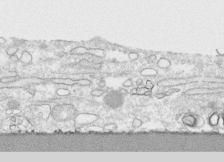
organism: Human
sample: CRL-1474